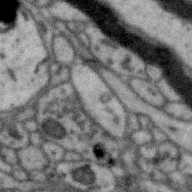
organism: Zebra finch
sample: Brain